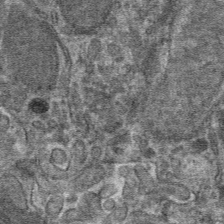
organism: Mouse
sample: Mouse hepatocytes